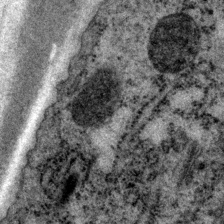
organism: P. pacificus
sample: Pharynx